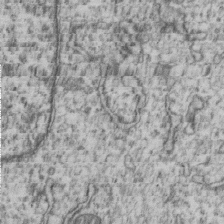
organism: Human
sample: MDA-MB-231 cells